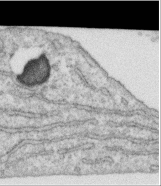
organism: Human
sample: Centriole in RPE cells